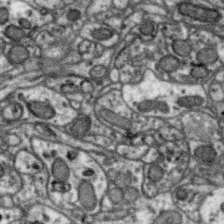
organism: Zebra finch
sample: Brain